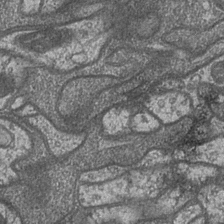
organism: Drosophila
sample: Optic medulla